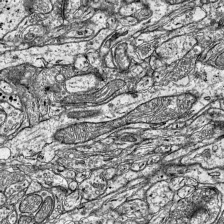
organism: Mouse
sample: Visual Cortex